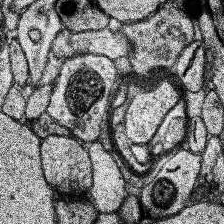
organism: Human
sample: Temporal Lobe